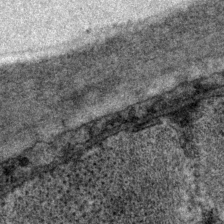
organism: P. pacificus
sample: Pharynx